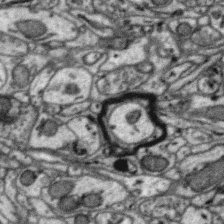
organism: Zebra finch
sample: Brain